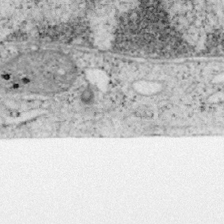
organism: Mouse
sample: OT-I killer T cells with ID8 ovarian cancer cells